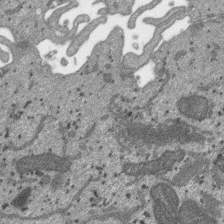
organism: Human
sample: Lung epithelial cells infected with SARS-CoV-2